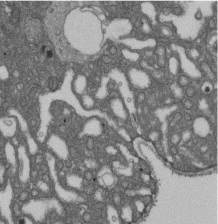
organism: Drosophila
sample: Nephrocyte